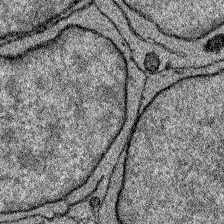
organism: Zebrafish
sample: Larval olfactory bulb